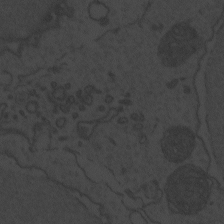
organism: Zebrafish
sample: Macrophage infected with Toxoplasma gondii